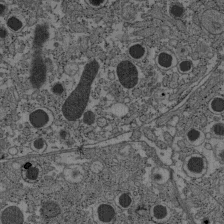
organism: C57BL Mouse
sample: Pancreatic islet